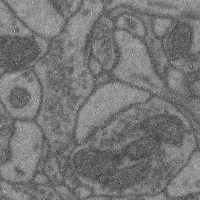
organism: Mouse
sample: Cerebral cortex